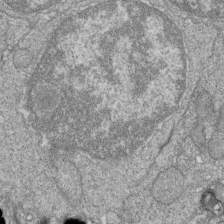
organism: Zebrafish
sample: Cilia; retinal pigment epithelium